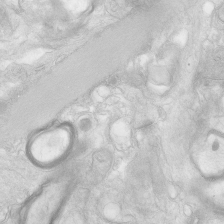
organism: Human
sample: Neocortex